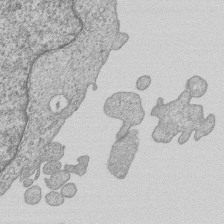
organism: Human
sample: MDA-MB-231 cells